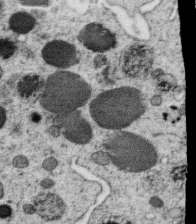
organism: C. elegans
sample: C. elegans oocyte; sperm cells